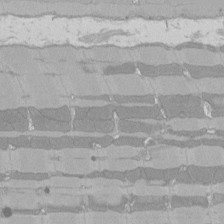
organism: Rat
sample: Left ventricle